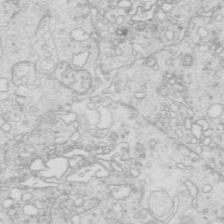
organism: Mouse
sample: Multiciliated cells